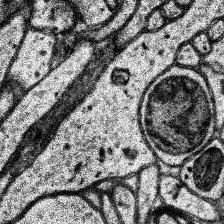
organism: Human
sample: Temporal Lobe